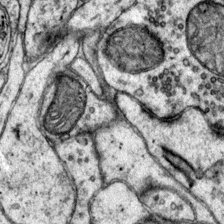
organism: Mouse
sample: Primary visual cortex